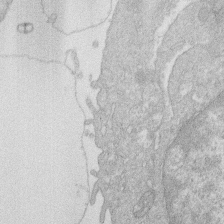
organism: Human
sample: Macrophage cells